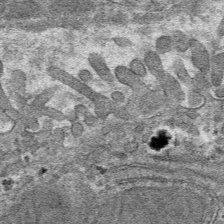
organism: Mouse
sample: Mouse hepatocytes